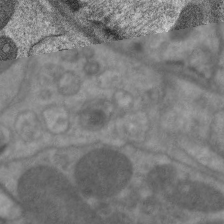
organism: C. elegans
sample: Pharynx